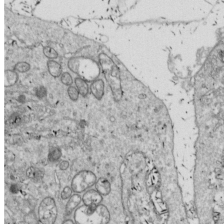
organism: Drosophila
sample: Cell division; meiosis; drosophila spermatocytes